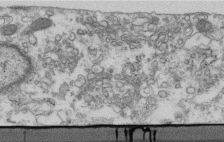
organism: Human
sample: Centriole in fibroblast cells